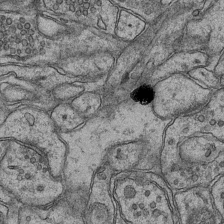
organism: Mouse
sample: CA1 Hippocampus